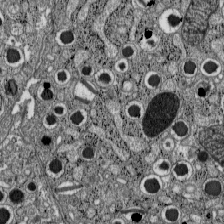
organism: C57BL Mouse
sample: Pancreatic islet